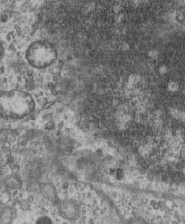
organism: Mouse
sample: Centriole in ependymal cells